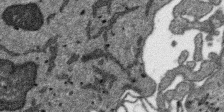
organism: Human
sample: Lung epithelial cells infected with SARS-CoV-2